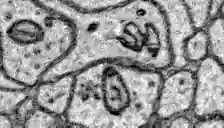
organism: Zebrafish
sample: Brain